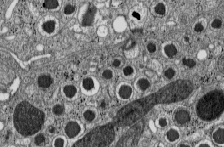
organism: C57BL Mouse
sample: Pancreatic islet